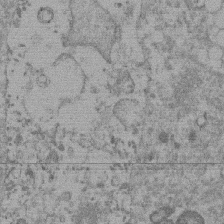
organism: Mouse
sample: Dividing mouse embryo 1 cell stage